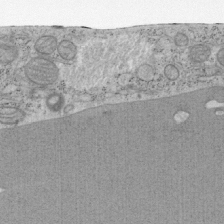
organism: Human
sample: HeLa cells